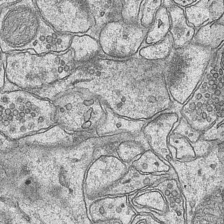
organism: Mouse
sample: CA1 Hippocampus